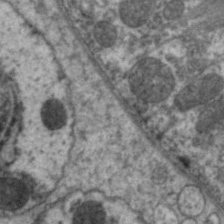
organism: C. elegans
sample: Pharynx